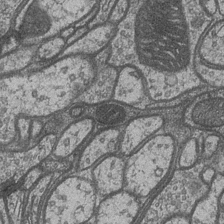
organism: Drosophila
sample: Optic medulla